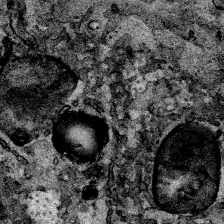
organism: Human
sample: Mitochondria in HCT116 cells